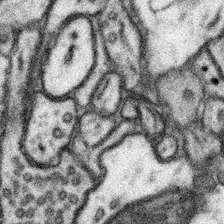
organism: Mouse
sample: Somatosensory cortex neuropil